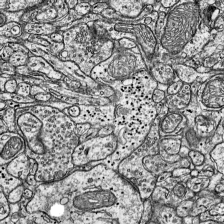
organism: Mouse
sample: Visual Cortex